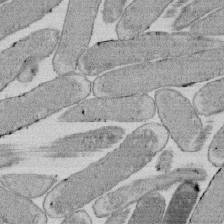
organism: E. coli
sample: Bacterial nucleoid